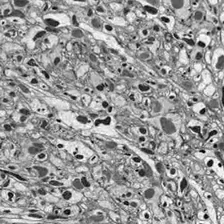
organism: Drosophila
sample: Optic lobe